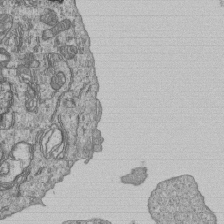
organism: Human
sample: MDA-MB-231 cells